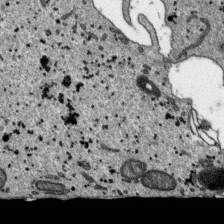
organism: Human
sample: Lung epithelial cells, uninfected (mock) control